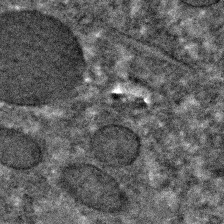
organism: C. elegans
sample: C. elegans embryo